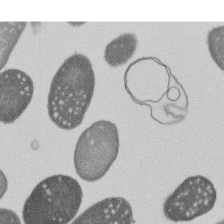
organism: E. coli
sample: Bacterial nucleoid